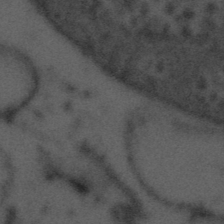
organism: Tuwongella immobilis